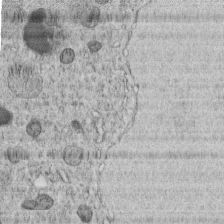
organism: C. elegans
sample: C. elegans embryo early stage